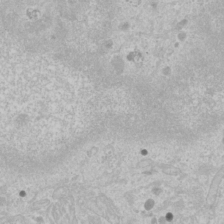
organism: Human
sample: Mitochondria in U2OS cells